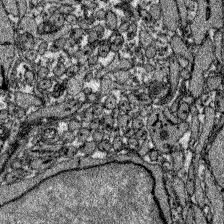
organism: Zebrafish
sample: Larval olfactory bulb